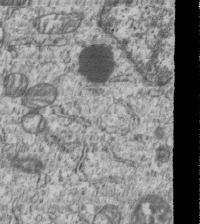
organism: Human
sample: MDA-MB-231 cells